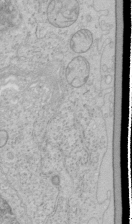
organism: Human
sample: Mitochondria in HCT116 cells